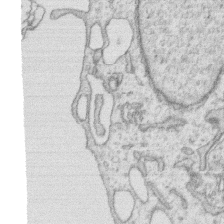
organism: Human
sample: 1205lu cells